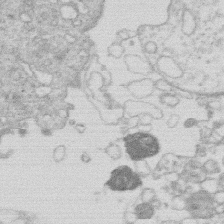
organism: Human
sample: Macrophage cells